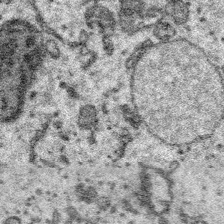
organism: Platynereis dumerilii